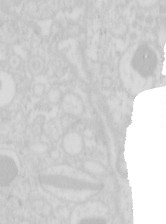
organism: Mouse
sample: Pancreas